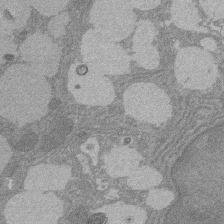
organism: Rat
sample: Salivary granule